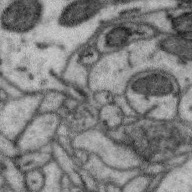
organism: Zebra finch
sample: Brain